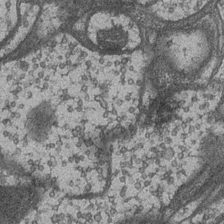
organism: Drosophila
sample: Optic medulla